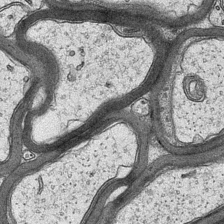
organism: Mouse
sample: CA1 Hippocampus